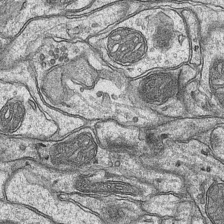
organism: Mouse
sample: CA1 Hippocampus